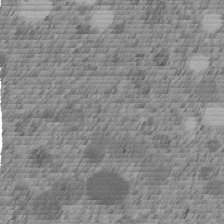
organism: C. elegans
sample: C. elegans embryo early stage